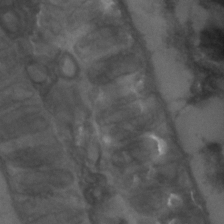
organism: C. elegans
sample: C. elegans embryo